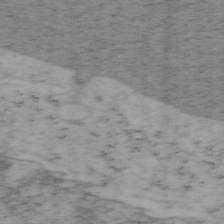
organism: Mouse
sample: OT-I killer T cells with ID8 ovarian cancer cells